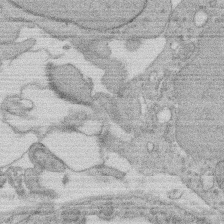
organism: Rat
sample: Salivary granule